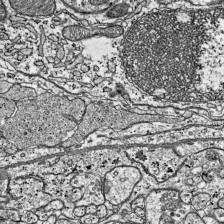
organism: Mouse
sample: Visual Cortex